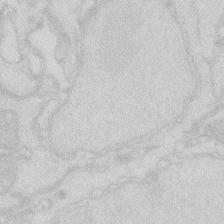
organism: Zebrafish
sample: Macrophage